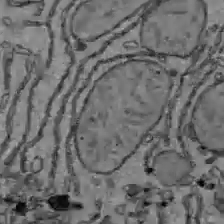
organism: C57BL Mouse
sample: Liver